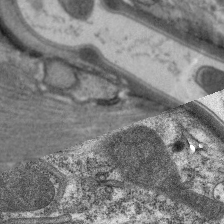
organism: C. elegans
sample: Pharynx